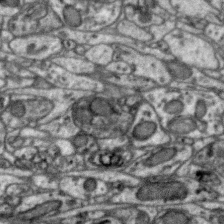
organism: Zebra finch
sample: Brain